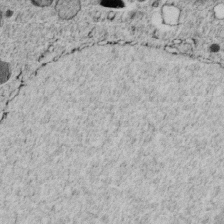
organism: C. elegans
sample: C. elegans embryo early stage